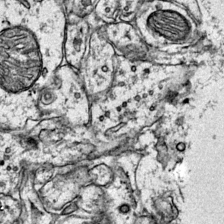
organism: Mouse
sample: Primary visual cortex